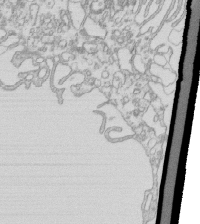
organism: Mouse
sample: Macrophages